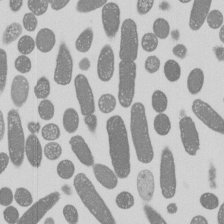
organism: E. coli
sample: Bacterial nucleoid